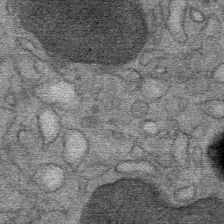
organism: Mouse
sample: Mouse Salivary gland